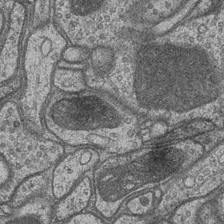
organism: Drosophila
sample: Optic medulla